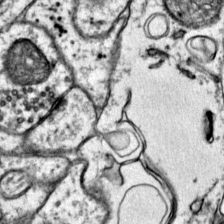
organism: Mouse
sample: Primary visual cortex